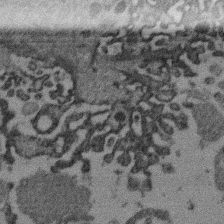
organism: Mouse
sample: Dividing mouse embryo 1 cell stage